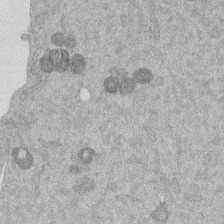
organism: Mouse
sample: Dividing mouse embryo 1 cell stage